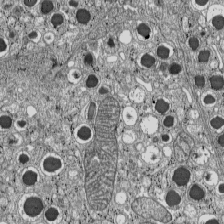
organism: C57BL Mouse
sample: Pancreatic islet